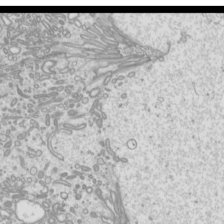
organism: Mouse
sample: Cilia; mouse epididymis